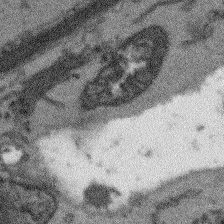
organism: Arabidopsis thaliana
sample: Root tip